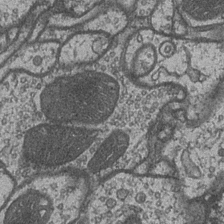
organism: Drosophila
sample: Optic medulla